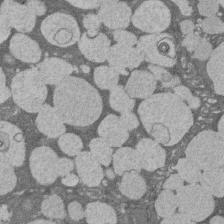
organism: Rat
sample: Salivary granule